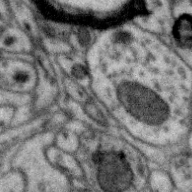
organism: Zebra finch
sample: Brain